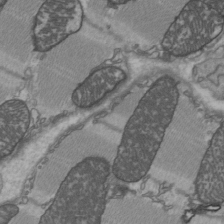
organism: C57BL Mouse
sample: Heart